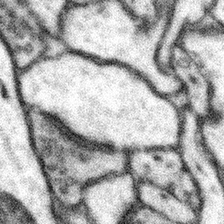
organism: Mouse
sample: Somatosensory cortex neuropil